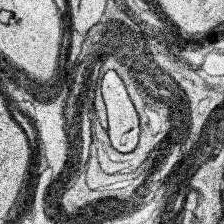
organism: Human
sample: Temporal Lobe